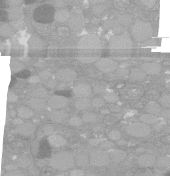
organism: C. elegans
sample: C. elegans oocyte; sperm cells